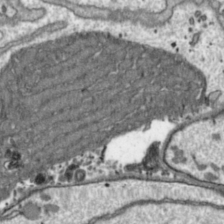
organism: Toxoplasma gondii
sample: Parasites in a vacuole inside a host cell